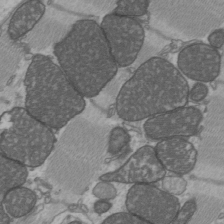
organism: C57BL Mouse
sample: Heart